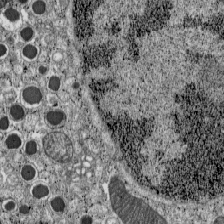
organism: C57BL Mouse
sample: Pancreatic islet